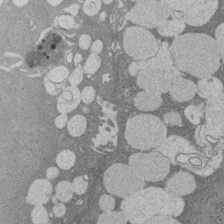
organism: Rat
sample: Salivary granule